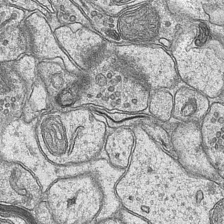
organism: Mouse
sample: CA1 Hippocampus